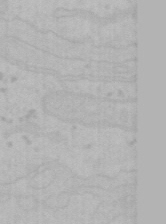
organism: Mouse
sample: Choroid plexus